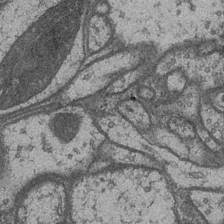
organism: Drosophila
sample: Optic medulla